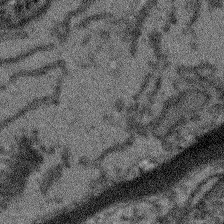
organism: Arabidopsis thaliana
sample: Root tip